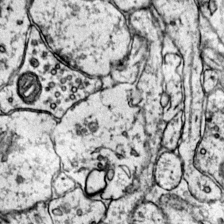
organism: Mouse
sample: Primary visual cortex